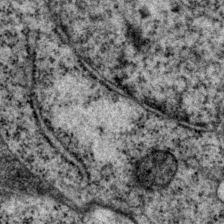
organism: P. pacificus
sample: Pharynx